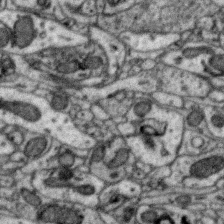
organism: Zebra finch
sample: Brain